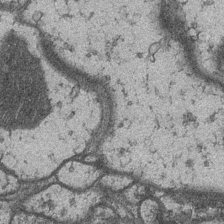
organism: Drosophila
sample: Optic medulla